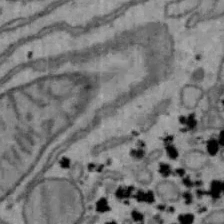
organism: Mouse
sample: Liver